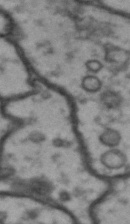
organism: Drosophila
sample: Brain